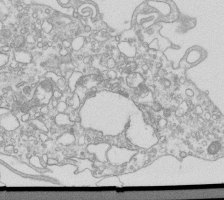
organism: Mouse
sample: Macrophages